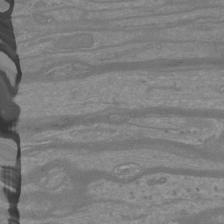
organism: Mouse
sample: Cortical neurons